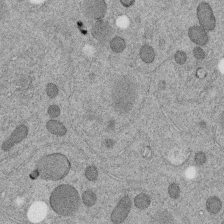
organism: C. elegans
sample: C. elegans embryo early stage